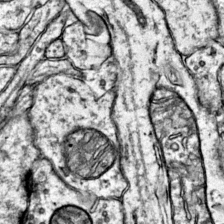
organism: Mouse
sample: Primary visual cortex